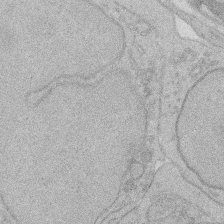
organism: Rat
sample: Salivary granule